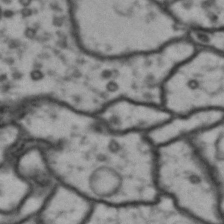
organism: Drosophila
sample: Brain